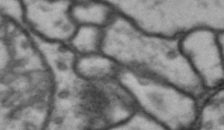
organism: Drosophila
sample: Brain